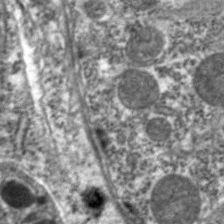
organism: C. elegans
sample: Pharynx